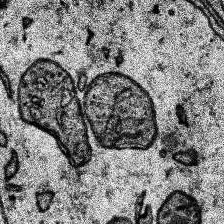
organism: Human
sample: Temporal Lobe